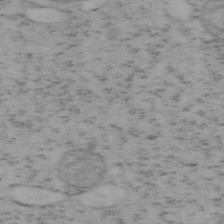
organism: Mouse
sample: OT-I killer T cells with ID8 ovarian cancer cells